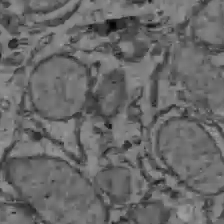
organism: C57BL Mouse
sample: Liver